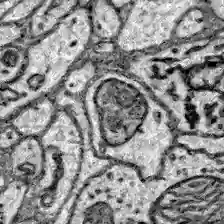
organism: Zebrafish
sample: Brain